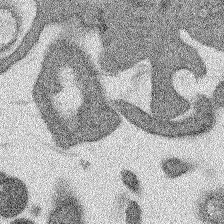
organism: Human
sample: HeLa cells